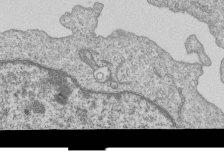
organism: Human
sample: MDA-MB-231 cells